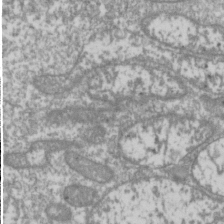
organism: Drosophila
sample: Cell division; meiosis; drosophila spermatocytes